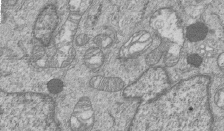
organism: Human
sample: MDA-MB-231 cells